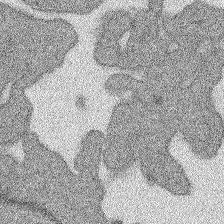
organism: Human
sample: HeLa cells